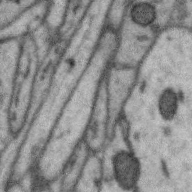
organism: Zebra finch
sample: Brain